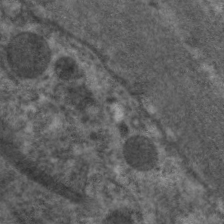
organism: C. elegans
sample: Pharynx